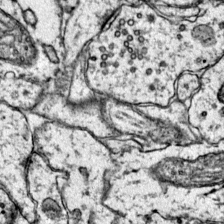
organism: Mouse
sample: Primary visual cortex